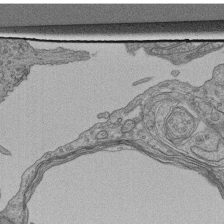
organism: Human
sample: Retinal organoid Rod and Cone cells